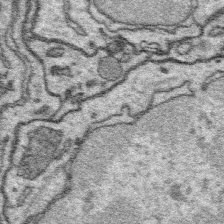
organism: Platynereis dumerilii